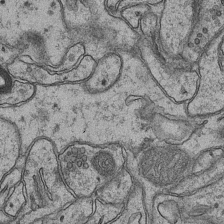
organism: Mouse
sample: CA1 Hippocampus